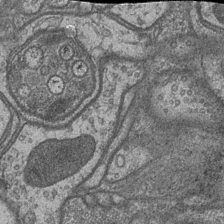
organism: Drosophila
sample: Optic medulla